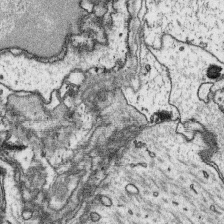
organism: Platynereis dumerilii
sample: Parapodia